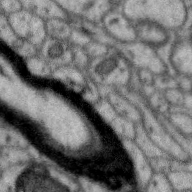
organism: Zebra finch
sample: Brain